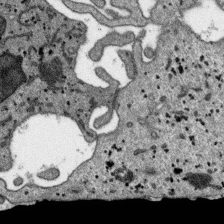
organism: Human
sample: Lung epithelial cells, uninfected (mock) control